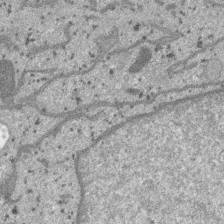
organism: Human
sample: Lung epithelial cells infected with SARS-CoV-2